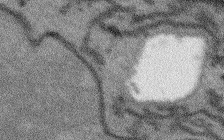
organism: Arabidopsis thaliana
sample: Root tip